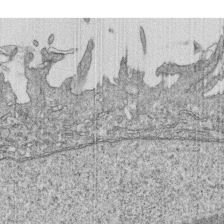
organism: Human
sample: HeLa cell HIV synapse